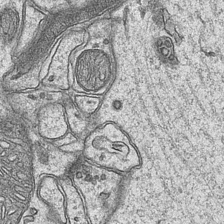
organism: Mouse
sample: CA1 Hippocampus